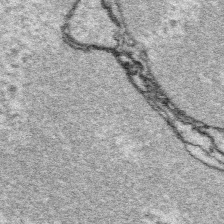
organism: Platynereis dumerilii